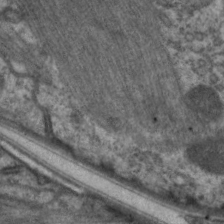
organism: C. elegans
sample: Pharynx